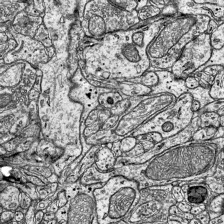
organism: Mouse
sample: Visual Cortex